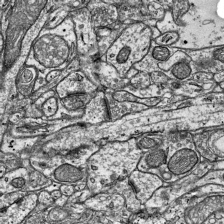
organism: Mouse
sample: Visual Cortex